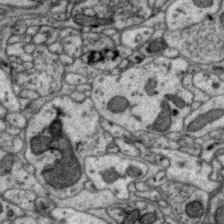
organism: Zebra finch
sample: Brain